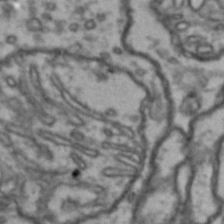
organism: Drosophila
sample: Brain